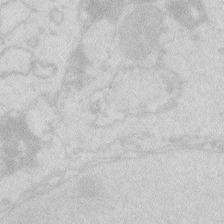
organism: Zebrafish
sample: Macrophage